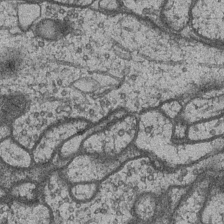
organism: Drosophila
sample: Optic medulla